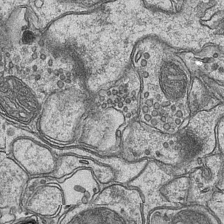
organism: Mouse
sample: CA1 Hippocampus